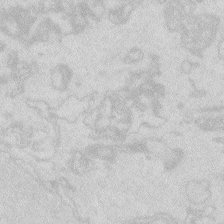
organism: Zebrafish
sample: Macrophage